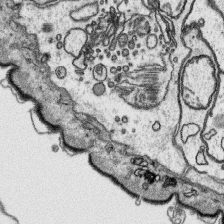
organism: Platynereis dumerilii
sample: Parapodia